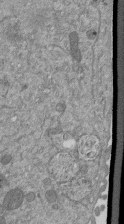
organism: Mouse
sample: ED-1 cell nuclei; centrioles